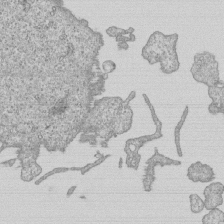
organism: Human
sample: MDA-MB-231 cells